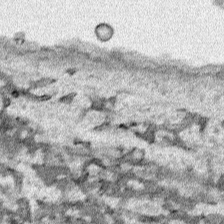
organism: Human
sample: Mitochondria in HCT116 cells